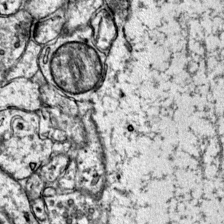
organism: Mouse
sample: Primary visual cortex